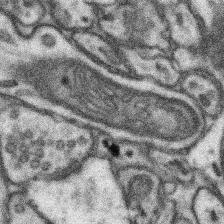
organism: Mouse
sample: Somatosensory cortex neuropil